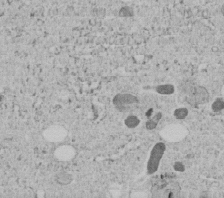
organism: C. elegans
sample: C. elegans embryo early stage